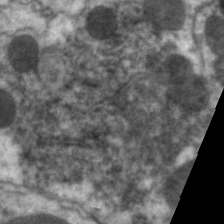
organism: C. elegans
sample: Pharynx